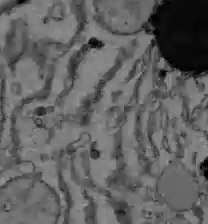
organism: C57BL Mouse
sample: Liver